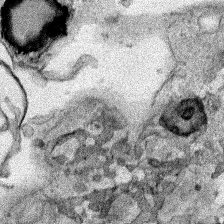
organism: Human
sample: Mitochondria in HCT116 cells